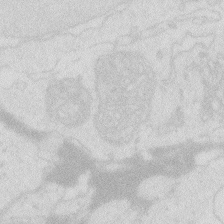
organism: Zebrafish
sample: Macrophage